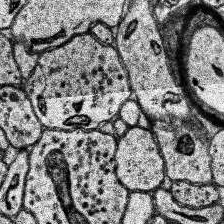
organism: Human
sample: Temporal Lobe